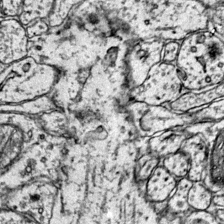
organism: Mouse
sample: Primary visual cortex